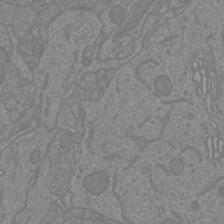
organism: Mouse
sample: Cortical neurons